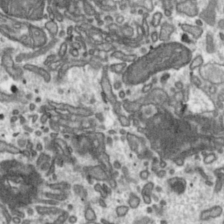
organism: Toxoplasma gondii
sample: Parasites in a vacuole inside a host cell